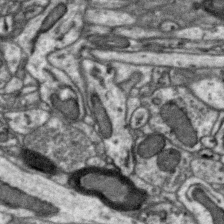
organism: Zebra finch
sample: Brain